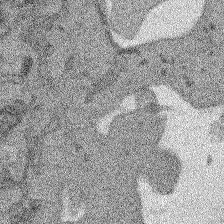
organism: Human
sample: HeLa cells